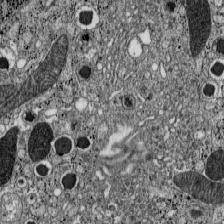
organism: C57BL Mouse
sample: Pancreatic islet